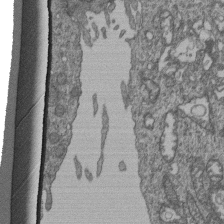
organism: Human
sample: Retinal organoid Rod and Cone cells